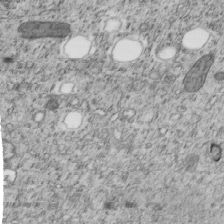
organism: C. elegans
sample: C. elegans embryo early stage